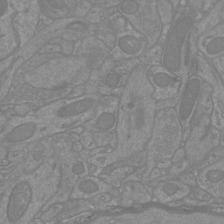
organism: Mouse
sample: Cortical neurons